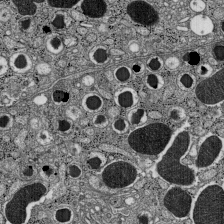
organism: C57BL Mouse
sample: Pancreatic islet